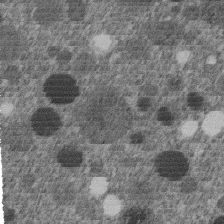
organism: C. elegans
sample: C. elegans embryo early stage